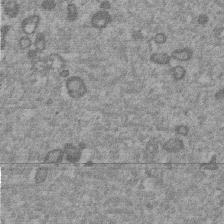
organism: Mouse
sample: Dividing mouse embryo 1 cell stage